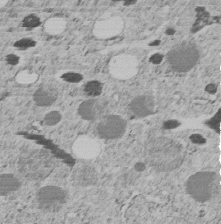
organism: C. elegans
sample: C. elegans embryo early stage